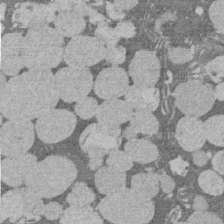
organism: Rat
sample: Salivary granule